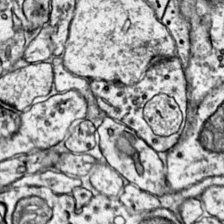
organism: Mouse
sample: Primary visual cortex